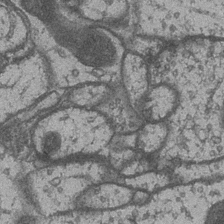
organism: Drosophila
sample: Optic medulla